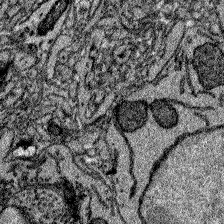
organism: Zebrafish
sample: Larval olfactory bulb